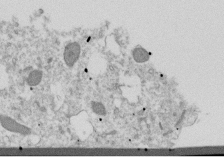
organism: Dictyostelium discoideum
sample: Dictyostelium multivesicular bodies